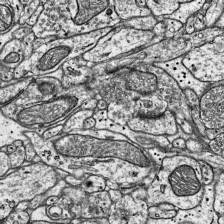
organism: Mouse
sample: Visual Cortex